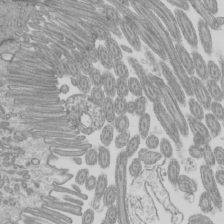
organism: Mouse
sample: Cilia; mouse epididymis